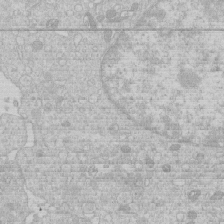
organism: Human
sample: Macrophage cells